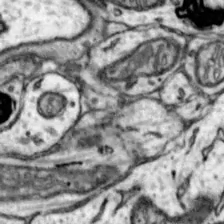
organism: Mouse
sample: Nucleus accumbens